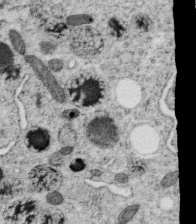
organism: C. elegans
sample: C. elegans oocyte; sperm cells